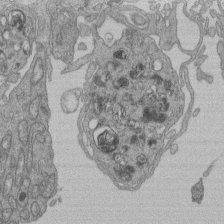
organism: Human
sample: Retinal organoid Rod and Cone cells